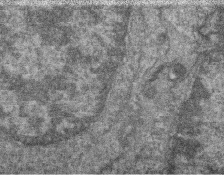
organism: Zebrafish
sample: Cilia; retinal pigment epithelium